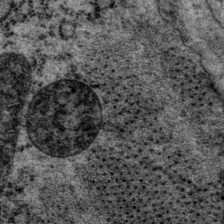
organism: P. pacificus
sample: Pharynx